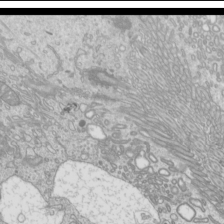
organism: Mouse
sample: Cilia; mouse epididymis